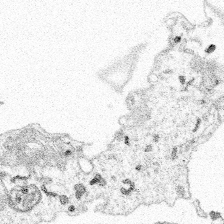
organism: Spongilla lacustris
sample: Multiple